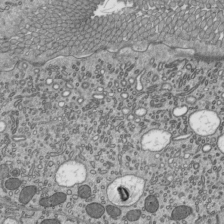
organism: Mouse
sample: Mouse epididymis efferent ductule cilia